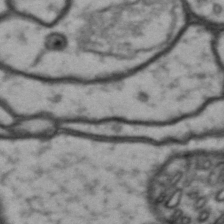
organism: Drosophila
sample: Brain